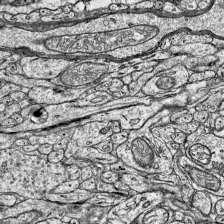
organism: Mouse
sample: Visual Cortex